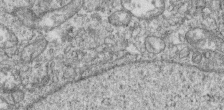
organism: Human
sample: HeLa cell HIV synapse